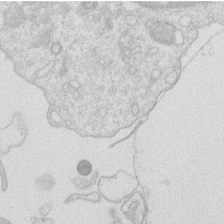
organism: Human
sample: Macrophage cells